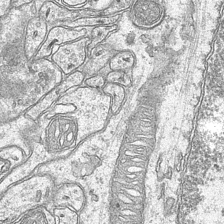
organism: Mouse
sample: CA1 Hippocampus